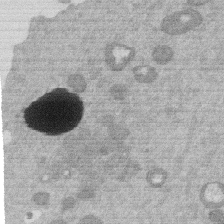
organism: Mouse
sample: Dividing mouse embryo 1 cell stage